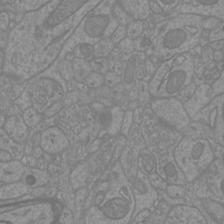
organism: Mouse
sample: Cortical neurons